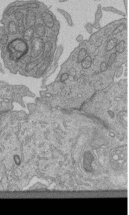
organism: Human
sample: Retinal organoid Rod and Cone cells